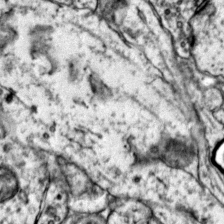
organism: Mouse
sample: Primary visual cortex